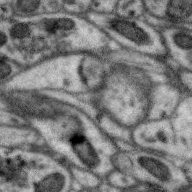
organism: Zebra finch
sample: Brain